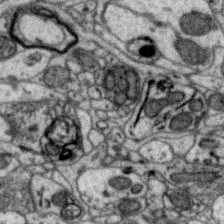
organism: Zebra finch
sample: Brain